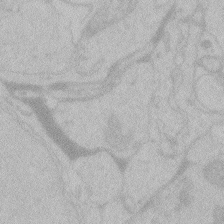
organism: Zebrafish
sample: Macrophage infected with Toxoplasma gondii